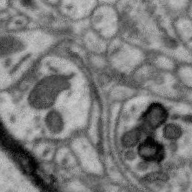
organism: Zebra finch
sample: Brain